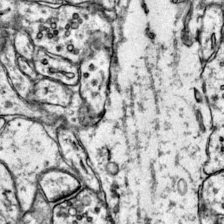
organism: Mouse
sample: Primary visual cortex